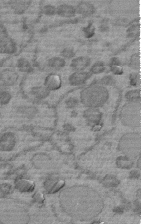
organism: C. elegans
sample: C. elegans embryo early stage